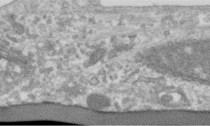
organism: Human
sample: Centriole in RPE cells